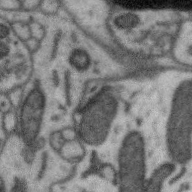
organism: Zebra finch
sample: Brain